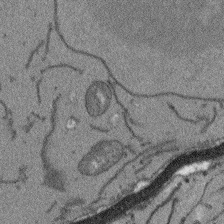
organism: Arabidopsis thaliana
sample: Root tip